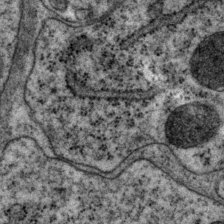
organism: P. pacificus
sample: Pharynx